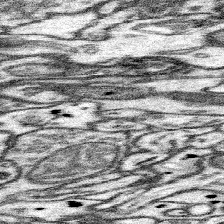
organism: Mouse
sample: Somatosensory cortex neuropil